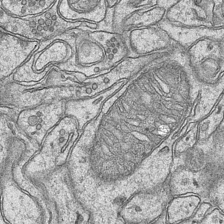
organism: Mouse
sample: CA1 Hippocampus